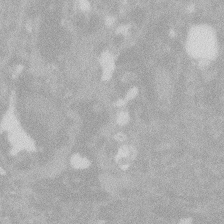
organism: Zebrafish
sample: Macrophage